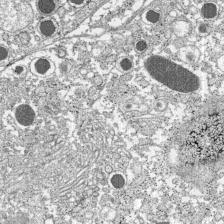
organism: C57BL Mouse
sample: Pancreatic islet